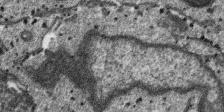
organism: Human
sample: Lung epithelial cells infected with SARS-CoV-2